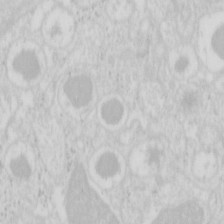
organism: Mouse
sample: Pancreas